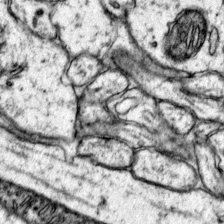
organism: Mouse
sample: Primary visual cortex